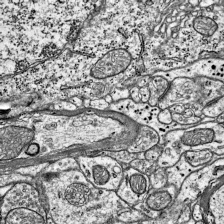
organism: Mouse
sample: Visual Cortex